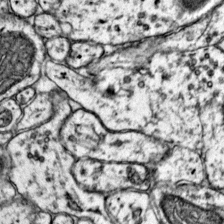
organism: Mouse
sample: Primary visual cortex